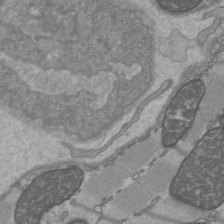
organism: C57BL Mouse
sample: Heart